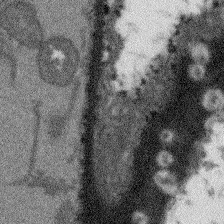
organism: Arabidopsis thaliana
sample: Root tip